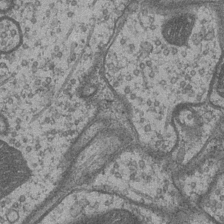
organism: Drosophila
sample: Optic medulla